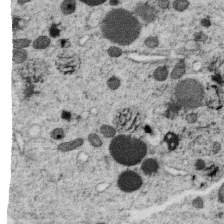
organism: C. elegans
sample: C. elegans oocyte; sperm cells